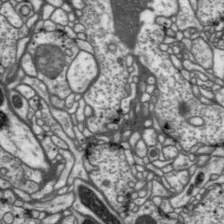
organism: Drosophila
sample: Protocerebral bridge